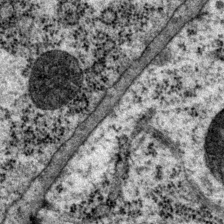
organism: P. pacificus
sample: Pharynx